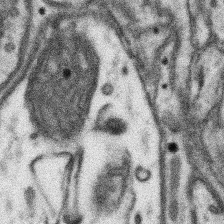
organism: Mouse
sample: Somatosensory cortex neuropil